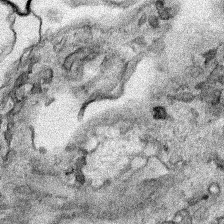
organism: Human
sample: Mitochondria in HCT116 cells